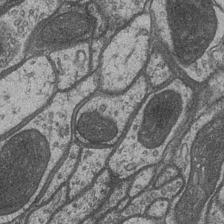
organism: Drosophila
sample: Optic medulla